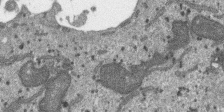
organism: Human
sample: Lung epithelial cells infected with SARS-CoV-2